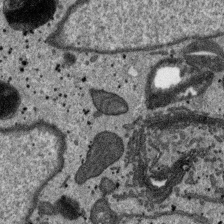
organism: Human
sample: Lung epithelial cells, uninfected (mock) control